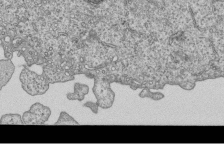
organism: Human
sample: MDA-MB-231 cells